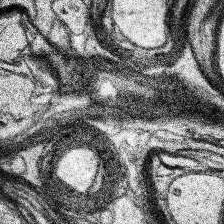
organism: Human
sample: Temporal Lobe